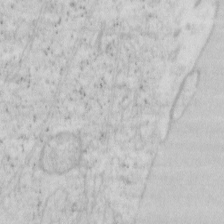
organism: Human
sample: HeLa cells